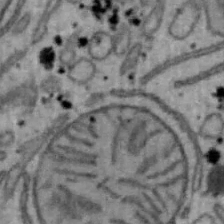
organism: Mouse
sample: Liver